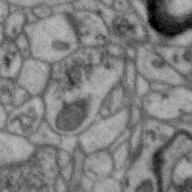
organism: Zebra finch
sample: Brain